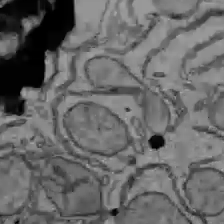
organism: C57BL Mouse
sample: Liver